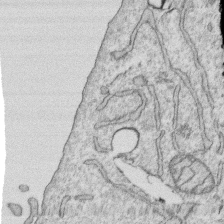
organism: Human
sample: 1205lu cells